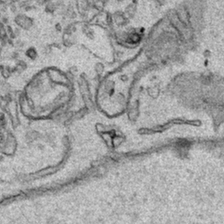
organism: Human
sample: Mitochondria in HCT116 cells